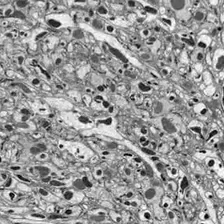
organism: Drosophila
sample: Optic lobe